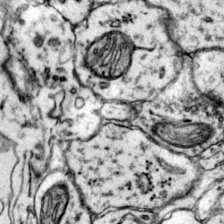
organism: Mouse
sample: Primary visual cortex